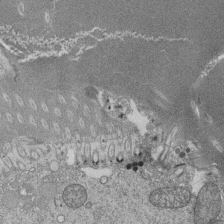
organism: Tetrahymena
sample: Cilia in tetrahymena